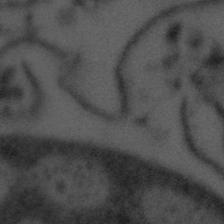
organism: Tuwongella immobilis